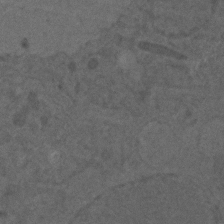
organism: C. elegans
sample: C. elegans embryo